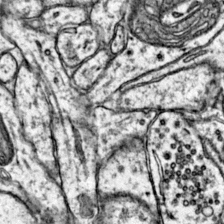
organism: Mouse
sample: Primary visual cortex